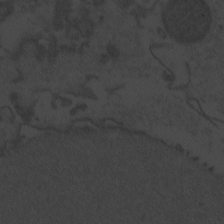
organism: Zebrafish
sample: Macrophage infected with Toxoplasma gondii